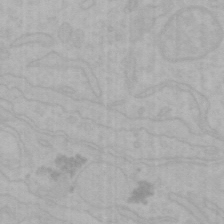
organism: Mouse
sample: Choroid plexus